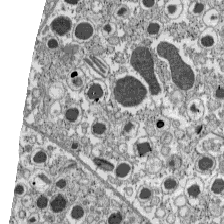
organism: C57BL Mouse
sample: Pancreatic islet